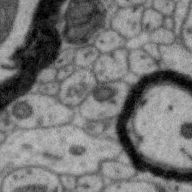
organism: Zebra finch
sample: Brain